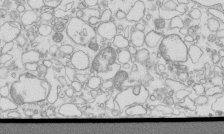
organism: Mouse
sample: Macrophages